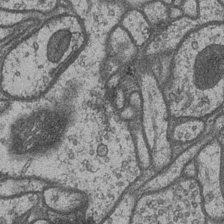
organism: Drosophila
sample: Optic medulla